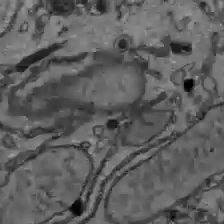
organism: C57BL Mouse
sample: Liver